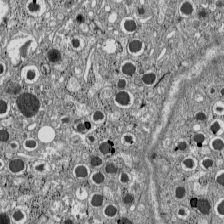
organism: C57BL Mouse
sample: Pancreatic islet